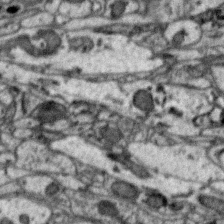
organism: Zebra finch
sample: Brain